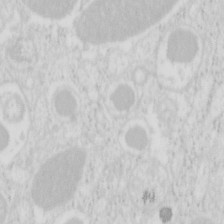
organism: Mouse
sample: Pancreas